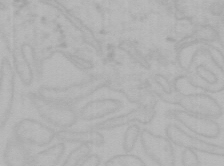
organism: Mouse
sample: Choroid plexus